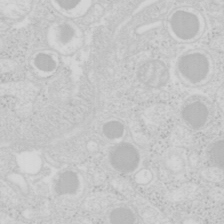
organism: Mouse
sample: Pancreas